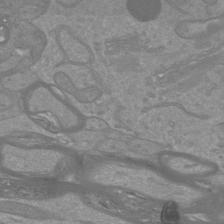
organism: Mouse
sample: Cortical neurons